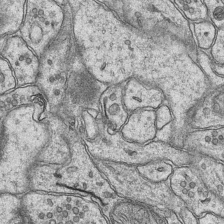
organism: Mouse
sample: CA1 Hippocampus